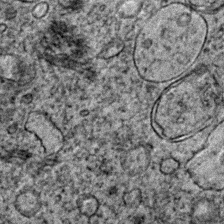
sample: Trachea